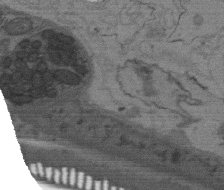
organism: C. elegans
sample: AFD neurons C. elegans